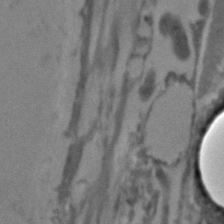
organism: C. elegans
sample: C. elegans embryo